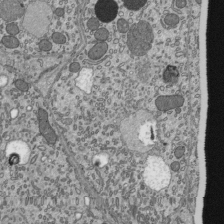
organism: Mouse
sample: Mouse epididymis efferent ductule cilia